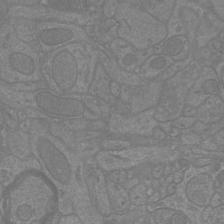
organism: Mouse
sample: Cortical neurons